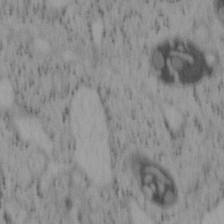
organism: Mouse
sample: OT-I killer T cells with ID8 ovarian cancer cells